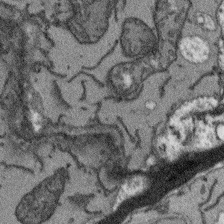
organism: Arabidopsis thaliana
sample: Root tip